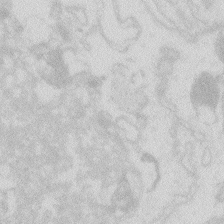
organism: Zebrafish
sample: Macrophage